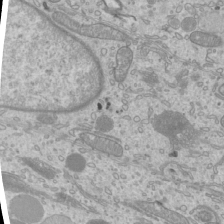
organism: Mouse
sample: Cilia; mouse epididymis